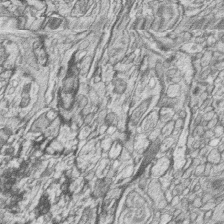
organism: Zebrafish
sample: synaptic ribbons in rod cells and cone cells